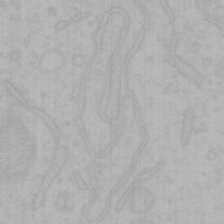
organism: Mouse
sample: Choroid plexus